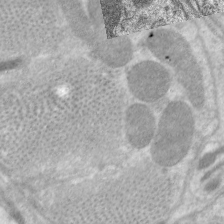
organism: C. elegans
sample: Pharynx